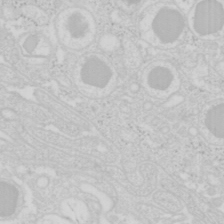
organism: Mouse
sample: Pancreas